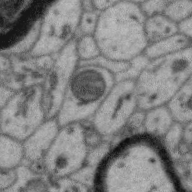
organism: Zebra finch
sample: Brain